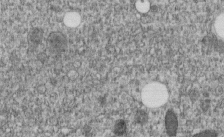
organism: C. elegans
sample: C. elegans embryo early stage